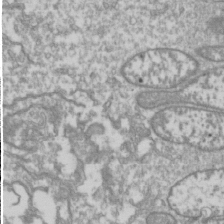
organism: Drosophila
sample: Cell division; meiosis; drosophila spermatocytes